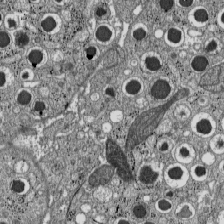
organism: C57BL Mouse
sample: Pancreatic islet